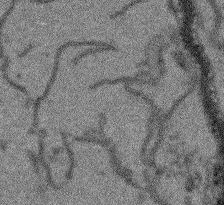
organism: Arabidopsis thaliana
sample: Root tip